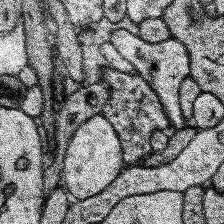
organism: Human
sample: Temporal Lobe